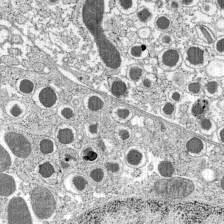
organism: C57BL Mouse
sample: Pancreatic islet